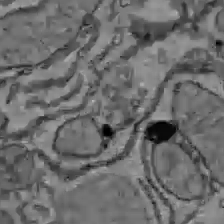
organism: C57BL Mouse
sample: Liver